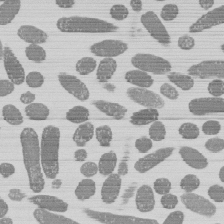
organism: E. coli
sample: Bacterial nucleoid